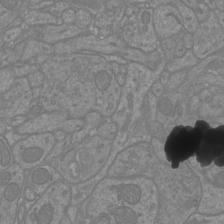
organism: Mouse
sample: Cortical neurons